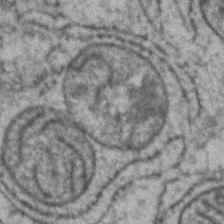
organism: Zebrafish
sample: Zebrafish embryo